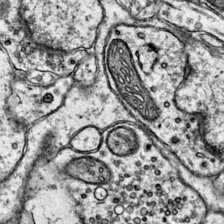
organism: Mouse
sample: Primary visual cortex